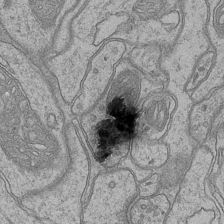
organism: Mouse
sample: CA1 Hippocampus